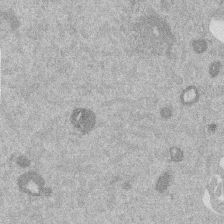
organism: Mouse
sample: Dividing mouse embryo 1 cell stage